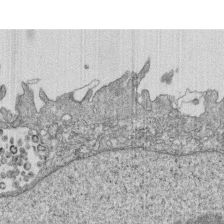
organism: Human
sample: HeLa cell HIV synapse